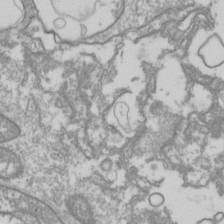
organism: Drosophila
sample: Cell division; meiosis; drosophila spermatocytes